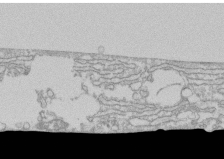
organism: Human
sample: CRL-1474